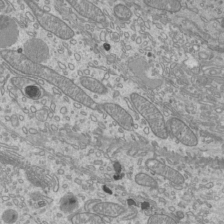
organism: Mouse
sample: Cilia; mouse epididymis